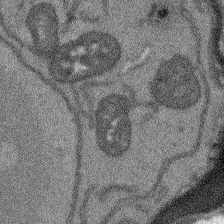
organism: Arabidopsis thaliana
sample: Root tip